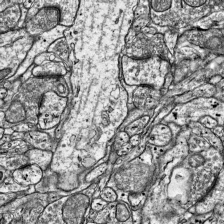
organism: Mouse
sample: Visual Cortex